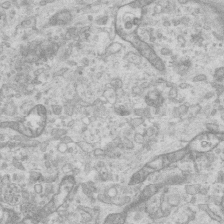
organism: Mouse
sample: Centriole in ependymal cells